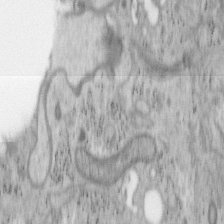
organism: Human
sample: HeLa cells